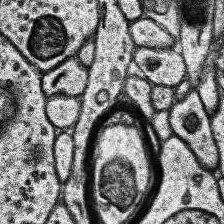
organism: Human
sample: Temporal Lobe